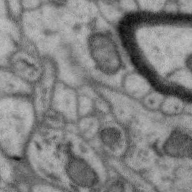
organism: Zebra finch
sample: Brain